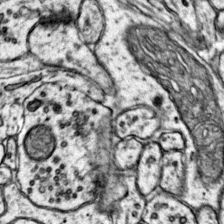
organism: Mouse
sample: Primary visual cortex